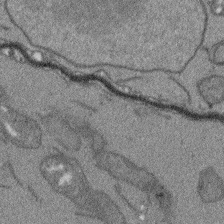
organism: Arabidopsis thaliana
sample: Root tip